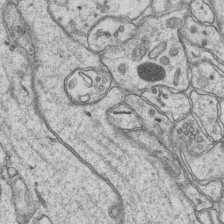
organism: Mouse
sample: CA1 Hippocampus